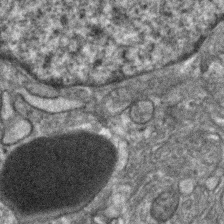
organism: Human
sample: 1205lu cells